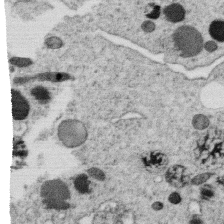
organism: C. elegans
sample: C. elegans oocyte; sperm cells